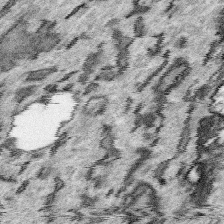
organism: Human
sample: HeLa cells